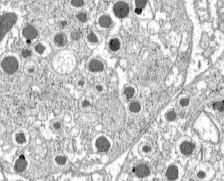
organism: C57BL Mouse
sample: Pancreatic islet